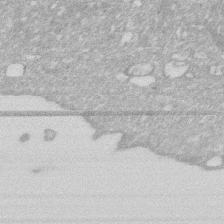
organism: Human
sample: HIV infected U937 cells